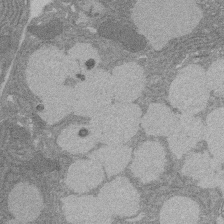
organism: Rat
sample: Salivary granule